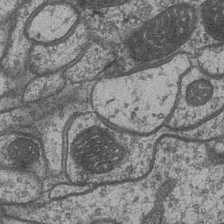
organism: Drosophila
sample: Optic medulla